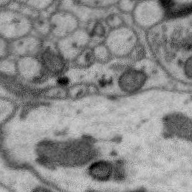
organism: Zebra finch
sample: Brain